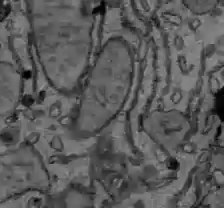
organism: C57BL Mouse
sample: Liver